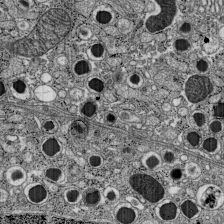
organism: C57BL Mouse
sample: Pancreatic islet